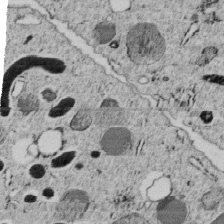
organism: C. elegans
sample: C. elegans embryo early stage